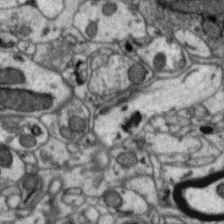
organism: Zebra finch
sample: Brain